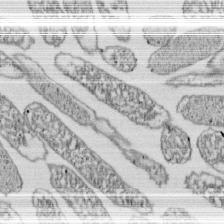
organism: E. coli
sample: Bacterial nucleoid